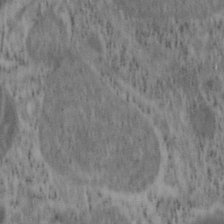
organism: Mouse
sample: OT-I killer T cells with ID8 ovarian cancer cells